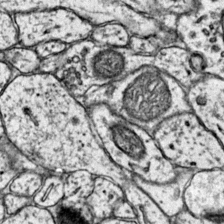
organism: Mouse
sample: Primary visual cortex